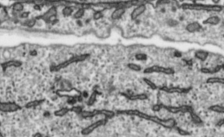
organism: Toxoplasma gondii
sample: Parasites in a vacuole inside a host cell